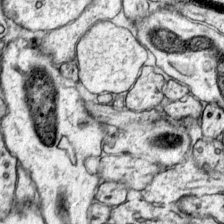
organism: Mouse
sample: Primary visual cortex